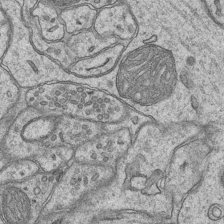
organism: Mouse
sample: CA1 Hippocampus